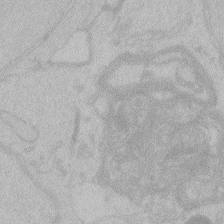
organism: Zebrafish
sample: Macrophage infected with Toxoplasma gondii